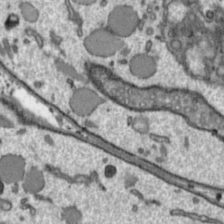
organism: Toxoplasma gondii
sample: Parasites in a vacuole inside a host cell